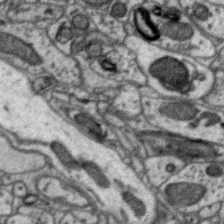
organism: Zebra finch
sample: Brain